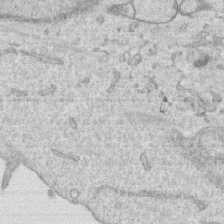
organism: Human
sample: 1205lu cells